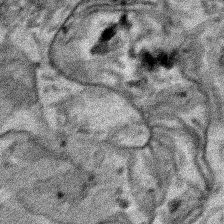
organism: Human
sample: Mitochondria in HCT116 cells